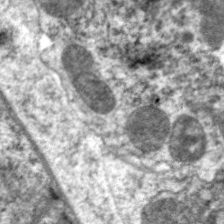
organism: C. elegans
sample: Pharynx